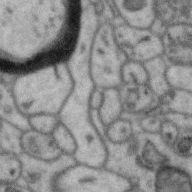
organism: Zebra finch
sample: Brain